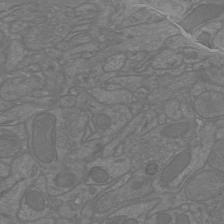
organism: Mouse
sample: Cortical neurons